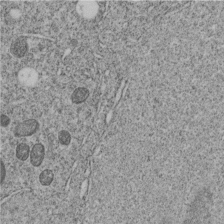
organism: C. elegans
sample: C. elegans embryo early stage